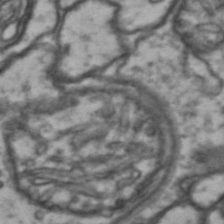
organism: Drosophila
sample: Brain